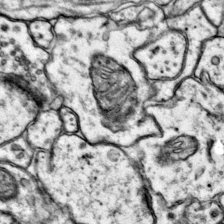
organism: Mouse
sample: Primary visual cortex